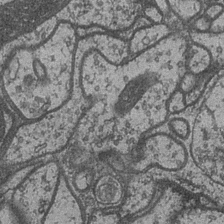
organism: Drosophila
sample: Optic medulla